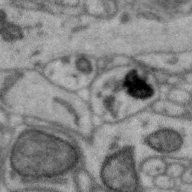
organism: Zebra finch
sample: Brain